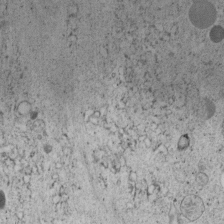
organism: C. elegans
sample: C. elegans embryo early stage